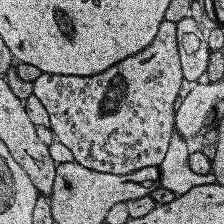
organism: Human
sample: Temporal Lobe